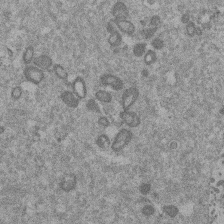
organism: Mouse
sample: Dividing mouse embryo 1 cell stage